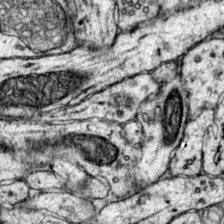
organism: Mouse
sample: Primary visual cortex